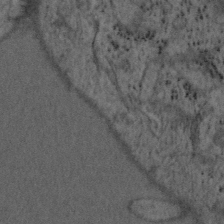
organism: Human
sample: HeLa cells